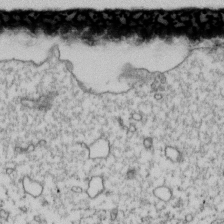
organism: Human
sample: Activated Jurkat CD4+ T cells